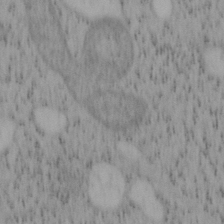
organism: Mouse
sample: OT-I killer T cells with ID8 ovarian cancer cells